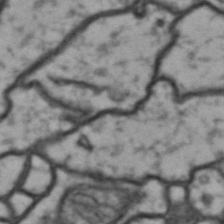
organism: Drosophila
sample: Brain